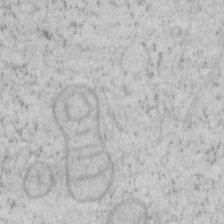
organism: Human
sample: HeLa cells